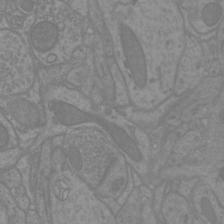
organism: Mouse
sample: Cortical neurons